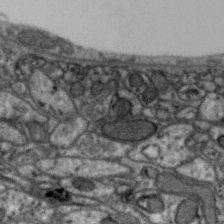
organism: Zebra finch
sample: Brain